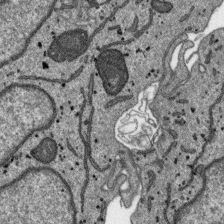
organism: Human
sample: Lung epithelial cells, uninfected (mock) control